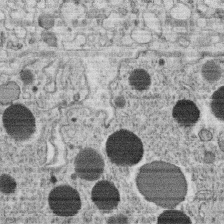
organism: C. elegans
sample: C. elegans oocyte; sperm cells